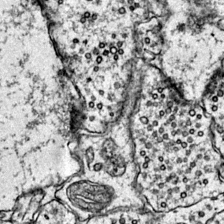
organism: Mouse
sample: Primary visual cortex